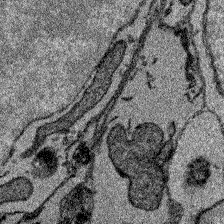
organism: Zebrafish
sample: Larval olfactory bulb